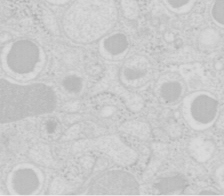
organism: Mouse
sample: Pancreas